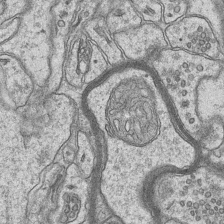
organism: Mouse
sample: CA1 Hippocampus